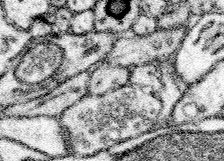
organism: Mouse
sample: Somatosensory cortex neuropil